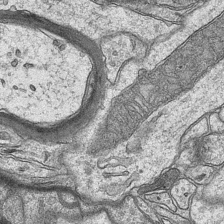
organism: Mouse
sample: CA1 Hippocampus